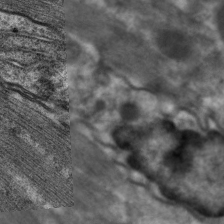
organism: C. elegans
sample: Pharynx